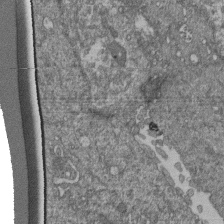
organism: Human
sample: Retinal organoid Rod and Cone cells